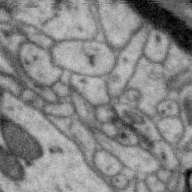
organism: Zebra finch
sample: Brain